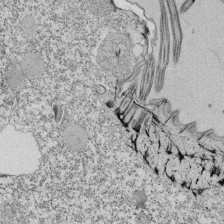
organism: Tetrahymena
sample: Cilia in tetrahymena